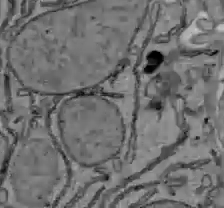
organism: C57BL Mouse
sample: Liver